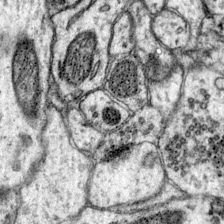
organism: Mouse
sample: Primary visual cortex